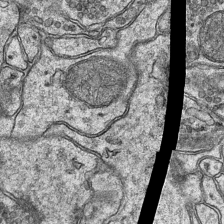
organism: Mouse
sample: CA1 Hippocampus